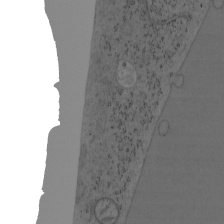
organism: Mouse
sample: OT-I killer T cells with ID8 ovarian cancer cells